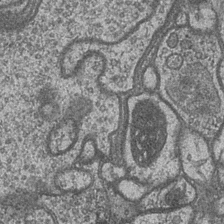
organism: Drosophila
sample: Optic medulla